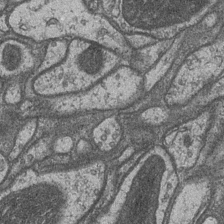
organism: Drosophila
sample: Optic medulla